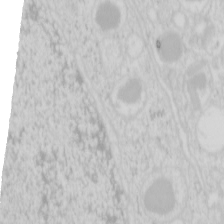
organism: Mouse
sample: Pancreas